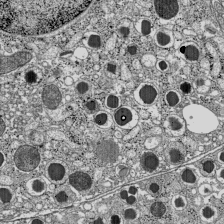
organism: C57BL Mouse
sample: Pancreatic islet